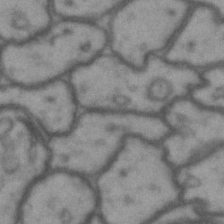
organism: Drosophila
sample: Brain